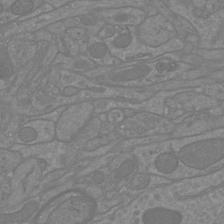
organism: Mouse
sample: Cortical neurons